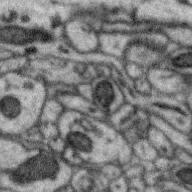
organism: Zebra finch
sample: Brain